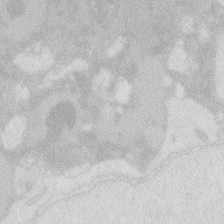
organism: Zebrafish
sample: Macrophage